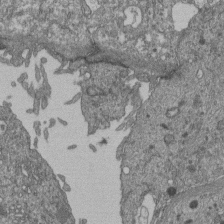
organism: Human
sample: Retinal organoid Rod and Cone cells